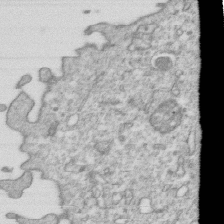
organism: Mouse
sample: Activated OT-1 CD8+ T cells